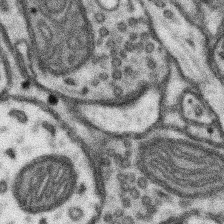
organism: Mouse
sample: Somatosensory cortex neuropil